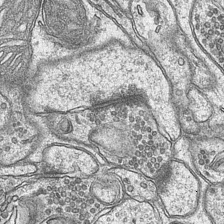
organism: Mouse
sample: CA1 Hippocampus